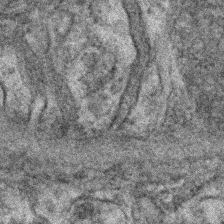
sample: Kidney